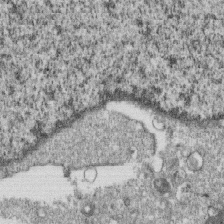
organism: African green monkey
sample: Vero E6 cells infected with SARS-CoV-2